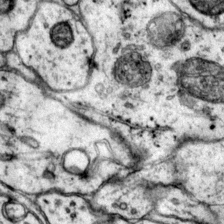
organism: Mouse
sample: Primary visual cortex